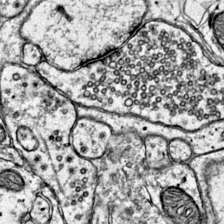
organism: Mouse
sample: Primary visual cortex